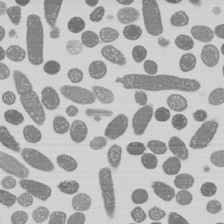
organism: E. coli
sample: Bacterial nucleoid